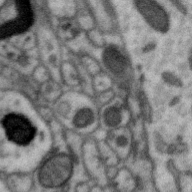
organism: Zebra finch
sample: Brain